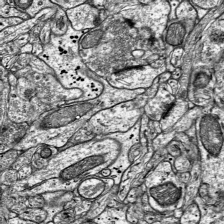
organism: Mouse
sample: Visual Cortex